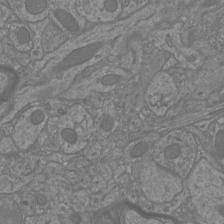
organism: Mouse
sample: Cortical neurons